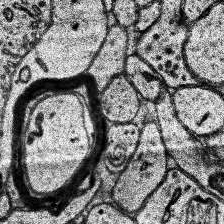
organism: Human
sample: Temporal Lobe